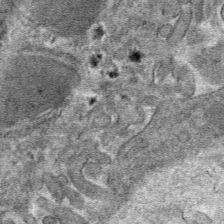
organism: Mouse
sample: Mouse hepatocytes